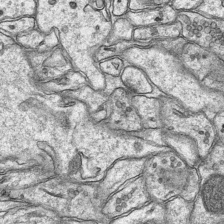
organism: Mouse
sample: CA1 Hippocampus